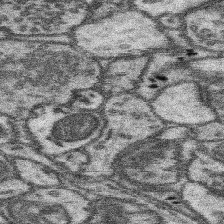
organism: Mouse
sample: Somatosensory cortex neuropil